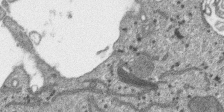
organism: Human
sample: Lung epithelial cells infected with SARS-CoV-2